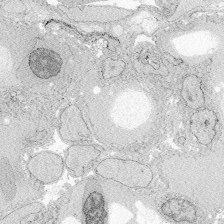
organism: Zebrafish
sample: Whole-Brain